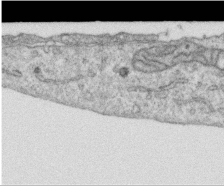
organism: Human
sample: Centriole in RPE cells